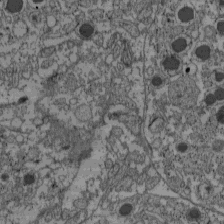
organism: C57BL Mouse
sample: Pancreatic islet